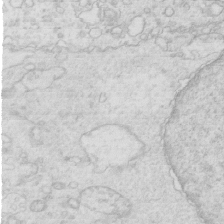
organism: Mouse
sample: Multiciliated cells